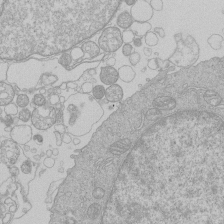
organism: Human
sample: Macrophage cells